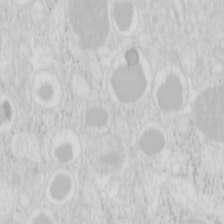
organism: Mouse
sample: Pancreas